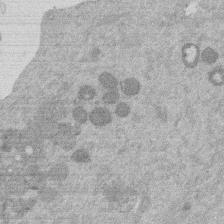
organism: Mouse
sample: Dividing mouse embryo 1 cell stage